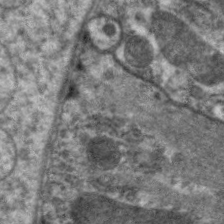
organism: C. elegans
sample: Pharynx